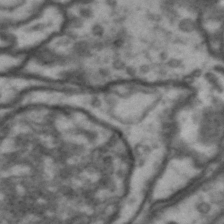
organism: Drosophila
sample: Brain